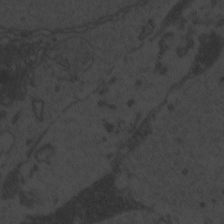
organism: Zebrafish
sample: Macrophage infected with Toxoplasma gondii